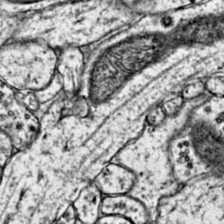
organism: Mouse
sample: Primary visual cortex